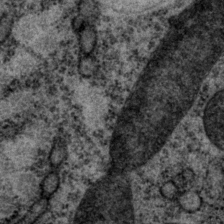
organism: P. pacificus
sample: Pharynx